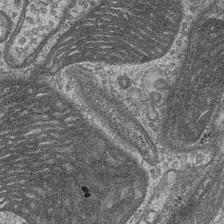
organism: Drosophila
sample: Optic medulla